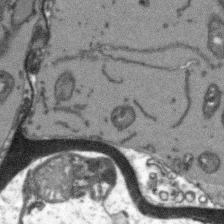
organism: Arabidopsis thaliana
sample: Root tip